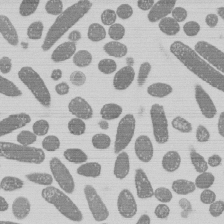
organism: E. coli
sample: Bacterial nucleoid